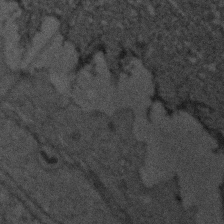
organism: Zebrafish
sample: Zebrafish embryo